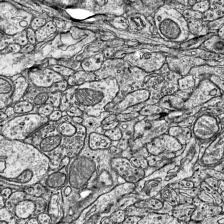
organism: Mouse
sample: Visual Cortex